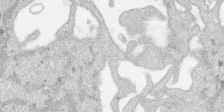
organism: Human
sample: Lung epithelial cells infected with SARS-CoV-2